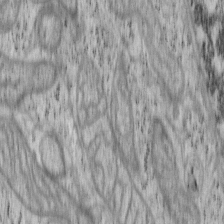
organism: Human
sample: HeLa cells